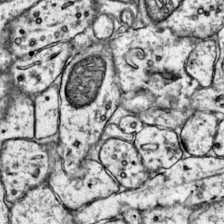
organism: Mouse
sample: Primary visual cortex